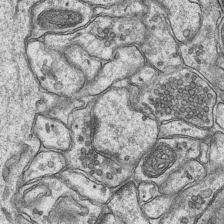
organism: Mouse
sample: CA1 Hippocampus